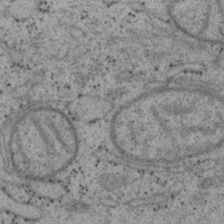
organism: Human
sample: HeLa cells